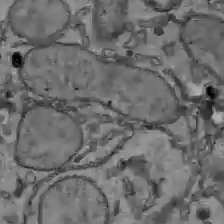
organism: C57BL Mouse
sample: Liver